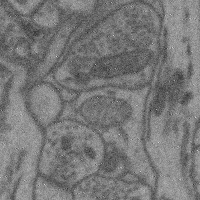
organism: Mouse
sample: Cerebral cortex